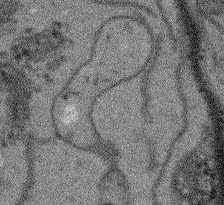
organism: Arabidopsis thaliana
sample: Root tip